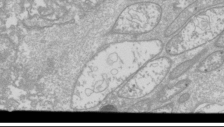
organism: Drosophila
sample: Cell division; meiosis; drosophila spermatocytes